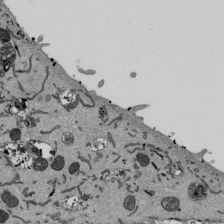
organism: Mouse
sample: ED-1 cell nuclei; centrioles